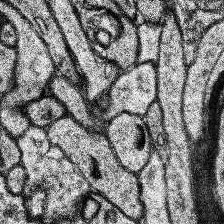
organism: Human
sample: Temporal Lobe